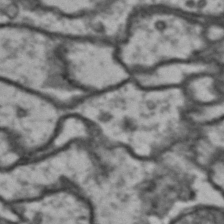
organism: Drosophila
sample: Brain